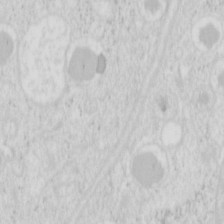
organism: Mouse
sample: Pancreas